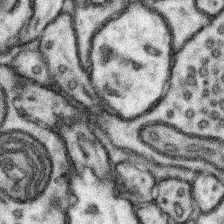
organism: Mouse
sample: Somatosensory cortex neuropil